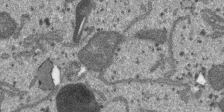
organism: Human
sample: Lung epithelial cells infected with SARS-CoV-2